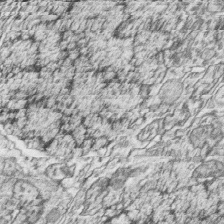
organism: Zebrafish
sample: synaptic ribbons in rod cells and cone cells